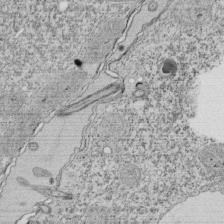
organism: Tetrahymena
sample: Cilia in tetrahymena